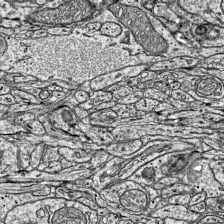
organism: Mouse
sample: Visual Cortex